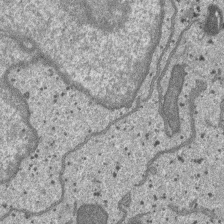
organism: Human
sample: Lung epithelial cells infected with SARS-CoV-2